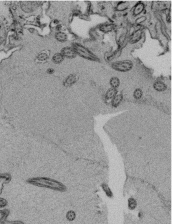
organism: Tetrahymena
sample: Cilia in tetrahymena